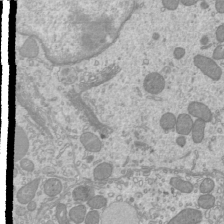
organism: Mouse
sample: Cilia; mouse epididymis